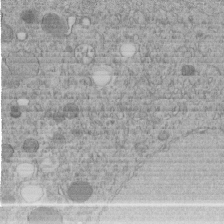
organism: C. elegans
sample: C. elegans embryo early stage